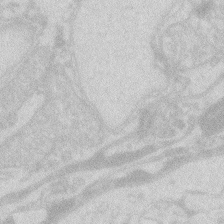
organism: Zebrafish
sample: Macrophage